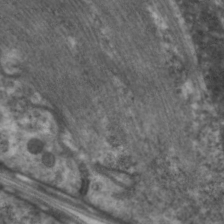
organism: C. elegans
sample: Pharynx